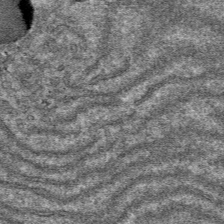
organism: Mouse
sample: Mouse hepatocytes